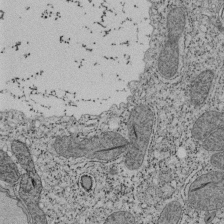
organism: Tetrahymena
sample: Cilia in tetrahymena